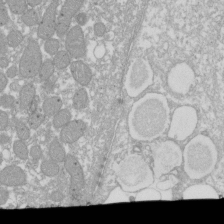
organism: Xenopus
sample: Cilia; centrioles in frog embryo cells